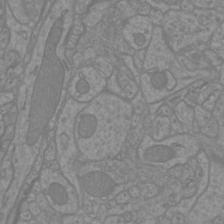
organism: Mouse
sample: Cortical neurons